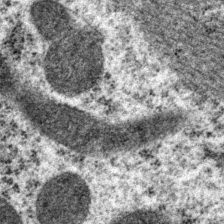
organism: P. pacificus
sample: Pharynx